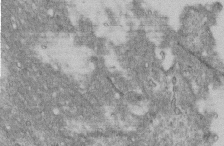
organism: Mouse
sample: Cilia; retinal pigment epithelium